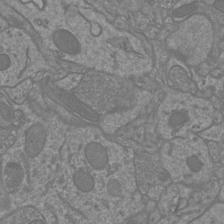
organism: Mouse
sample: Cortical neurons